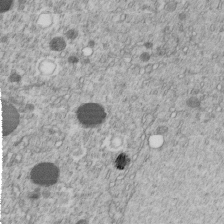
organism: C. elegans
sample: C. elegans embryo early stage